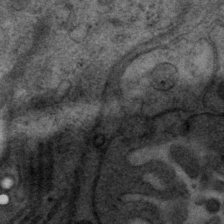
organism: P. pacificus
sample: Pharynx